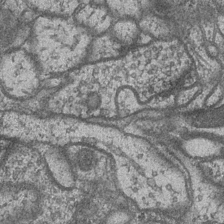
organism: Drosophila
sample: Optic medulla